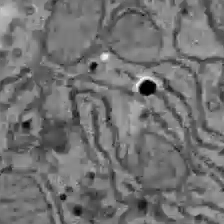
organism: C57BL Mouse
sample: Liver